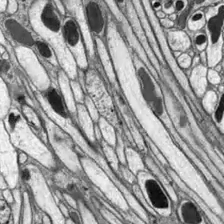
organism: Drosophila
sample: Optic lobe